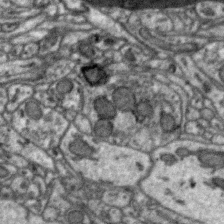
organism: Zebra finch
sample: Brain